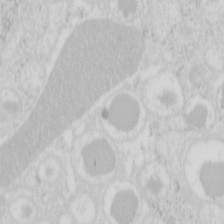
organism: Mouse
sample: Pancreas